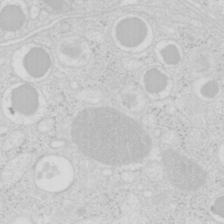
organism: Mouse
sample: Pancreas